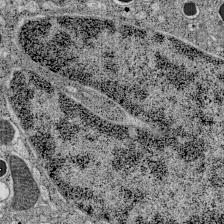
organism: C57BL Mouse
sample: Pancreatic islet